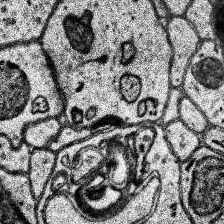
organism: Human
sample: Temporal Lobe